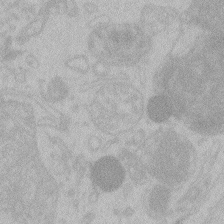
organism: Zebrafish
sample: Macrophage infected with Toxoplasma gondii